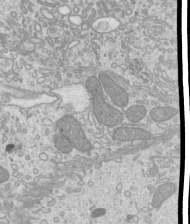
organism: Mouse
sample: Cilia; mouse epididymis